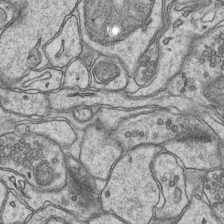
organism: Mouse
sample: CA1 Hippocampus